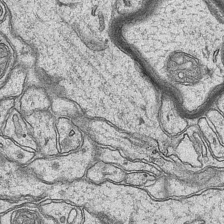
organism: Mouse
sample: CA1 Hippocampus